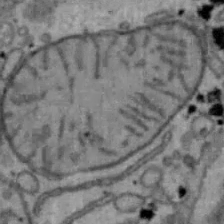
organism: Mouse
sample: Liver